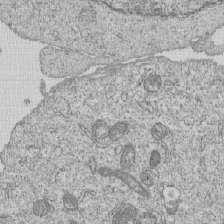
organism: Human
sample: MDA-MB-231 cells